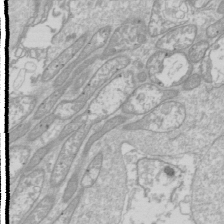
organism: Drosophila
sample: Cell division; meiosis; drosophila spermatocytes